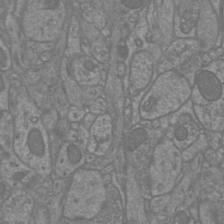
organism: Mouse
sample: Cortical neurons